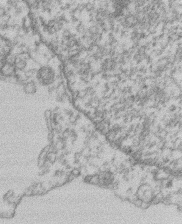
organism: Mouse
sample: T cell stromal cell synapse